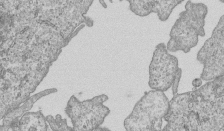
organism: Human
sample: MDA-MB-231 cells